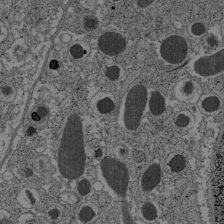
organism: C57BL Mouse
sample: Pancreatic islet